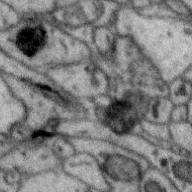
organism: Zebra finch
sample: Brain